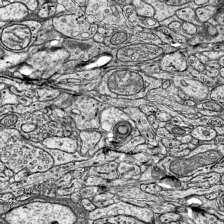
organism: Mouse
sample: Visual Cortex